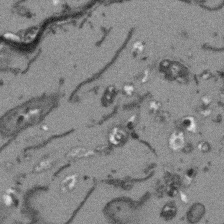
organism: Arabidopsis thaliana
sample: Root tip